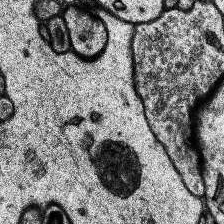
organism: Human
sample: Temporal Lobe